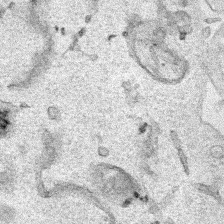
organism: Human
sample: Mitochondria in HCT116 cells